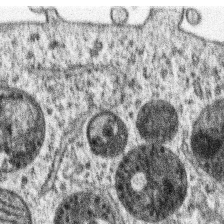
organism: Human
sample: HeLa cells